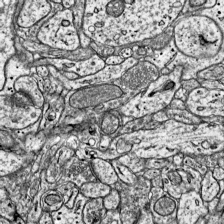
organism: Mouse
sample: Visual Cortex